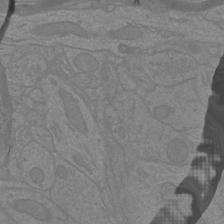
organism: Mouse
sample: Cortical neurons